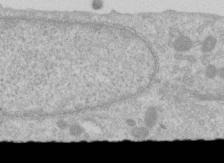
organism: Human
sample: Centriole in RPE cells